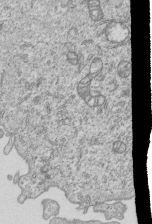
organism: Human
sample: MDA-MB-231 cells